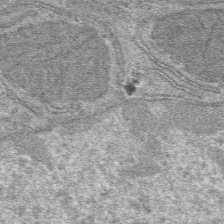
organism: Mouse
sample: Mouse hepatocytes